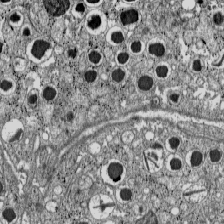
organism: C57BL Mouse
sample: Pancreatic islet